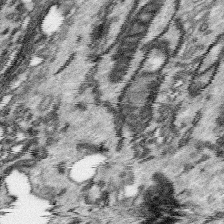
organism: Human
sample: HeLa cells